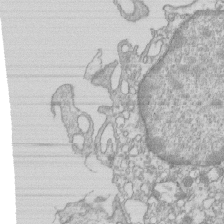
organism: Mouse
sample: Macrophages